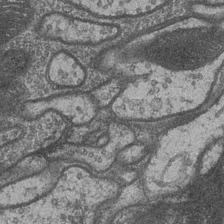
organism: Drosophila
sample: Optic medulla